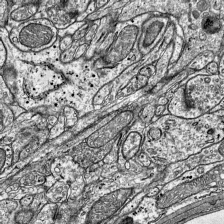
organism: Mouse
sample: Visual Cortex